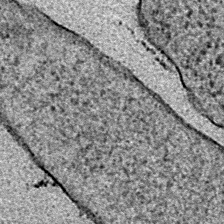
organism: E. coli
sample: E. Coli Bacteria